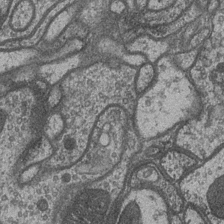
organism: Drosophila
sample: Optic medulla